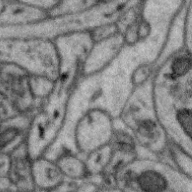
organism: Zebra finch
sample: Brain